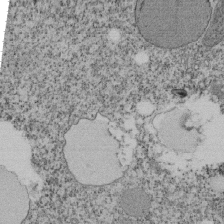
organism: Tetrahymena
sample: Cilia in tetrahymena